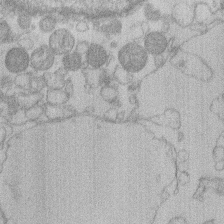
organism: Human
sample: Macrophage cells